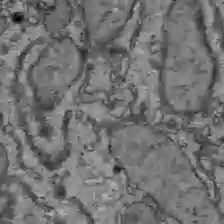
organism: C57BL Mouse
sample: Liver